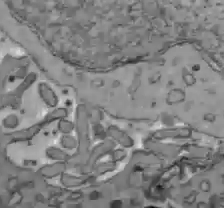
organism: C57BL Mouse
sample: Liver